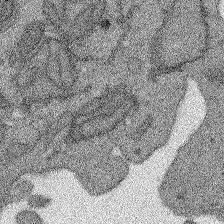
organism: Human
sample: HeLa cells